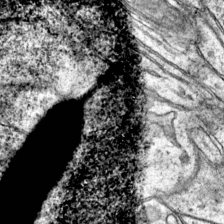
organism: Mouse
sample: Primary visual cortex